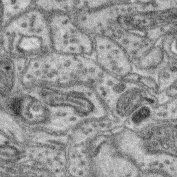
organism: Mouse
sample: Retina